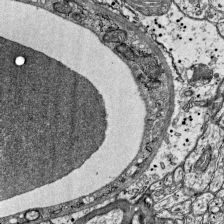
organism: Mouse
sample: Visual Cortex